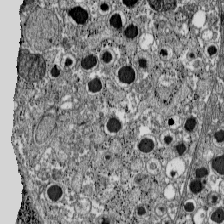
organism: C57BL Mouse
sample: Pancreatic islet